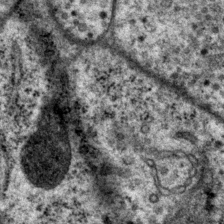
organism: P. pacificus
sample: Pharynx